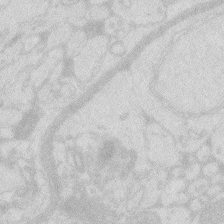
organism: Zebrafish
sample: Macrophage